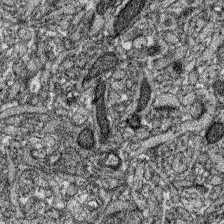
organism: Zebrafish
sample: Larval olfactory bulb